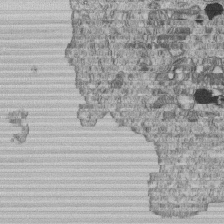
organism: Human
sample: MDA-MB-231 cells